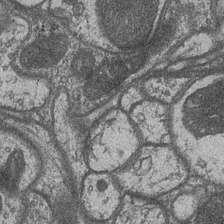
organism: Drosophila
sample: Optic medulla